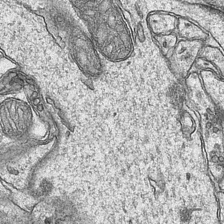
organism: Mouse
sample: CA1 Hippocampus